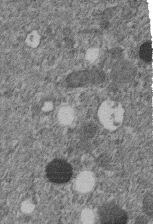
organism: C. elegans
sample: C. elegans embryo early stage